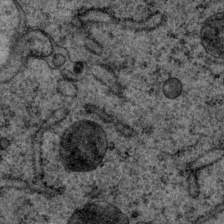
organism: P. pacificus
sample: Pharynx